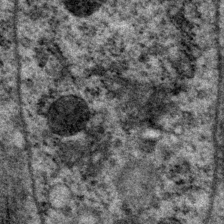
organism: P. pacificus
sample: Pharynx